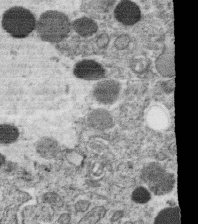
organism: C. elegans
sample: C. elegans oocyte; sperm cells